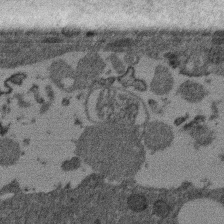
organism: Mouse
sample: Dividing mouse embryo 1 cell stage